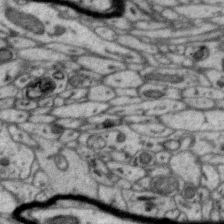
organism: Zebra finch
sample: Brain